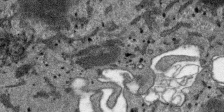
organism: Human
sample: Lung epithelial cells, uninfected (mock) control